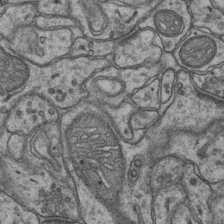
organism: Mouse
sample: CA1 Hippocampus